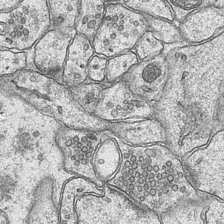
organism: Mouse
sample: CA1 Hippocampus